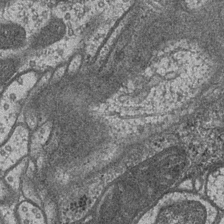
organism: Drosophila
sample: Optic medulla